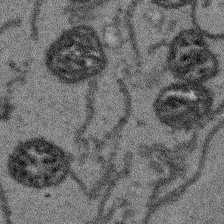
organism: Arabidopsis thaliana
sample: Root tip